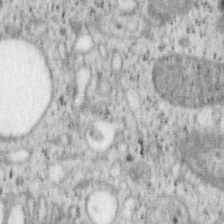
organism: Mouse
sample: OT-I killer T cells with ID8 ovarian cancer cells